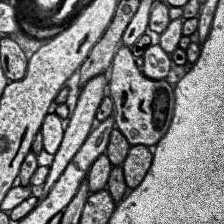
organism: Human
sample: Temporal Lobe